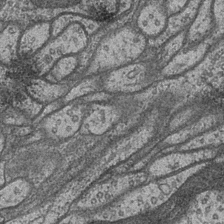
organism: Drosophila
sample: Optic medulla